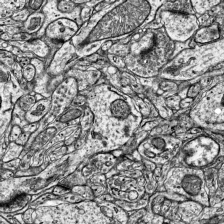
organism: Mouse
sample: Visual Cortex